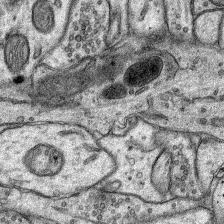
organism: Rat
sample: Hippocampus